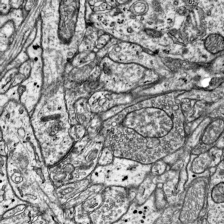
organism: Mouse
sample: Visual Cortex